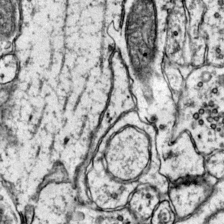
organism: Mouse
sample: Primary visual cortex